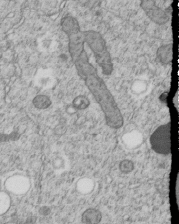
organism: C. elegans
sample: C. elegans embryo early stage